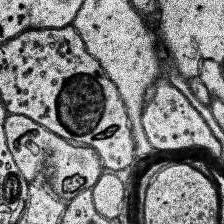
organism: Human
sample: Temporal Lobe